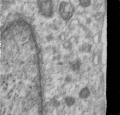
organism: Human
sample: Centriole in RPE cells